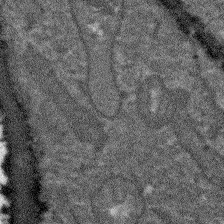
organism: Arabidopsis thaliana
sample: Root tip